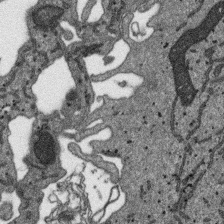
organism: Human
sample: Lung epithelial cells infected with SARS-CoV-2